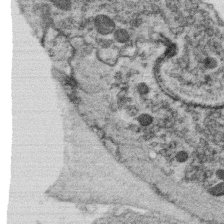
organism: C. elegans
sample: C. elegans oocyte; sperm cells